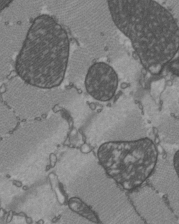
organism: C57BL Mouse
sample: Heart